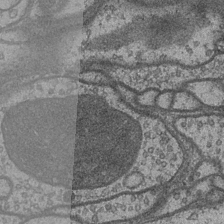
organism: Drosophila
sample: Optic medulla